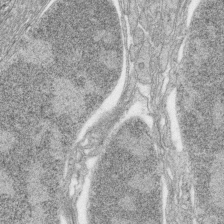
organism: Zebrafish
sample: synaptic ribbons in rod cells and cone cells